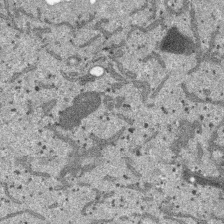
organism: Human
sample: Lung epithelial cells infected with SARS-CoV-2